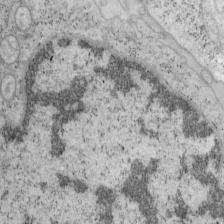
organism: Mouse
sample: OT-I killer T cells with ID8 ovarian cancer cells